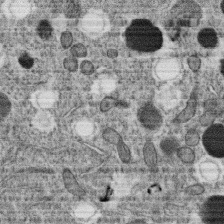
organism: C. elegans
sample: C. elegans oocyte; sperm cells